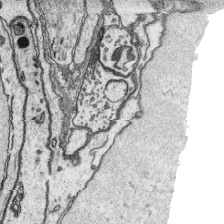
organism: Platynereis dumerilii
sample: Parapodia